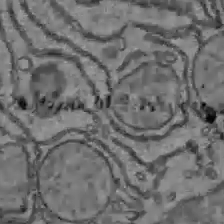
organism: C57BL Mouse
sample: Liver